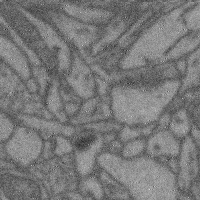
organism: Mouse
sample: Cerebral cortex